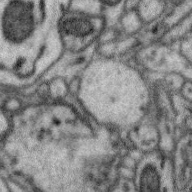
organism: Zebra finch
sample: Brain